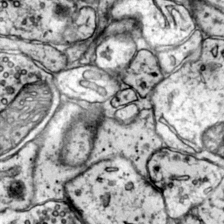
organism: Mouse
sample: Primary visual cortex